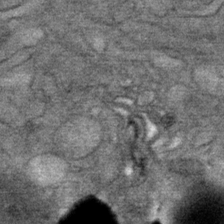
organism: Mouse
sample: Mouse Salivary gland